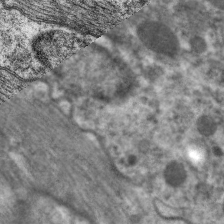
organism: C. elegans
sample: Pharynx